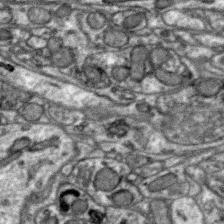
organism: Zebra finch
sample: Brain